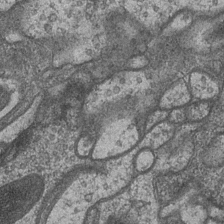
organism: Drosophila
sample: Optic medulla